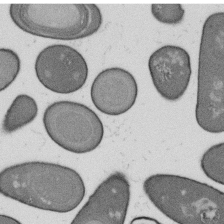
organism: B. subtilis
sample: Bacterial spore